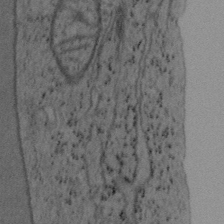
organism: Human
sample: HeLa cells